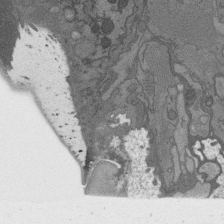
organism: C. elegans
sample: AFD neurons C. elegans